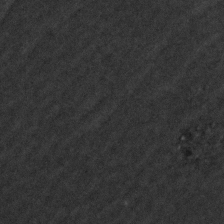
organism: Zebrafish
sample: Zebrafish embryo